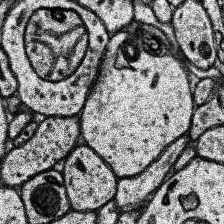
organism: Human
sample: Temporal Lobe